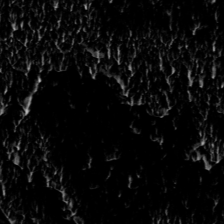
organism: Toxoplasma gondii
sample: Parasites in a vacuole inside a host cell